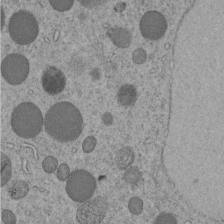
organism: C. elegans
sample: C. elegans embryo early stage